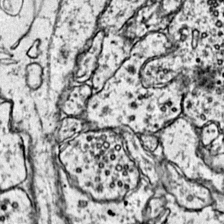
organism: Mouse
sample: Primary visual cortex